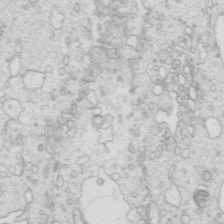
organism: Mouse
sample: Multiciliated cells